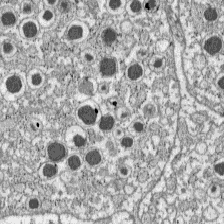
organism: C57BL Mouse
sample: Pancreatic islet